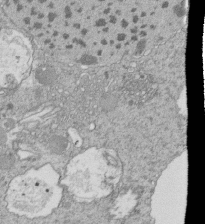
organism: Tetrahymena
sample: Cilia in tetrahymena